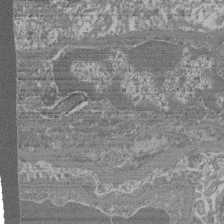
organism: Mouse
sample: Glomerulus